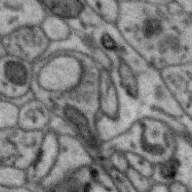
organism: Zebra finch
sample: Brain